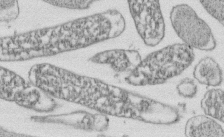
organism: E. coli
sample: Bacterial nucleoid